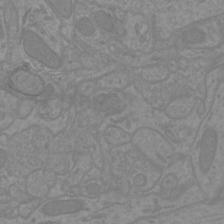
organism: Mouse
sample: Cortical neurons